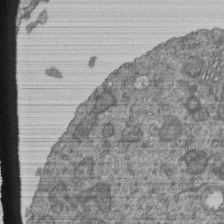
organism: Human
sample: Retinal organoid Rod and Cone cells